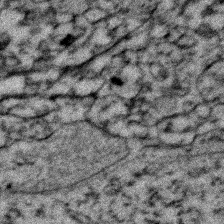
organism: Zebrafish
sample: Zebrafish embryo